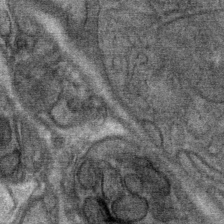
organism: Mouse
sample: Mouse Salivary gland